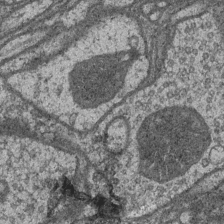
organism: Drosophila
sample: Optic medulla